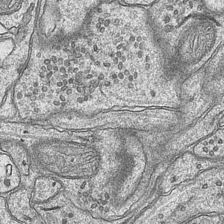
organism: Mouse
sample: CA1 Hippocampus